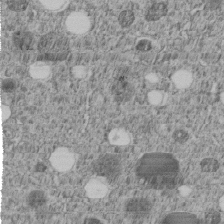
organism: C. elegans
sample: C. elegans embryo early stage